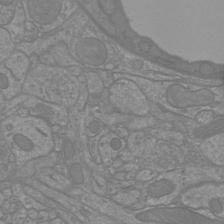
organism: Mouse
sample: Cortical neurons